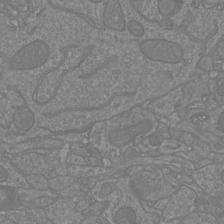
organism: Mouse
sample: Cortical neurons